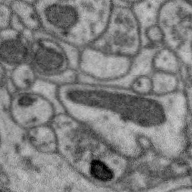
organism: Zebra finch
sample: Brain